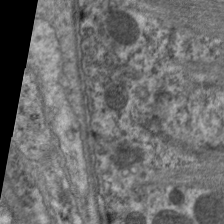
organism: C. elegans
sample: Pharynx